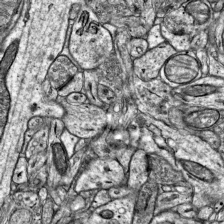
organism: Mouse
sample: Visual Cortex